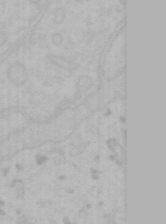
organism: Mouse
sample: Choroid plexus